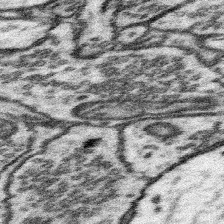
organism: Mouse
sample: Somatosensory cortex neuropil